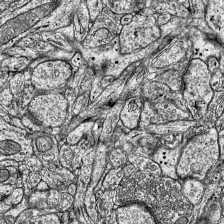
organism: Mouse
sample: Visual Cortex